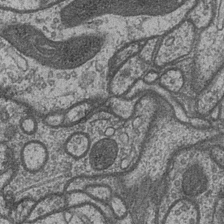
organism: Drosophila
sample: Optic medulla